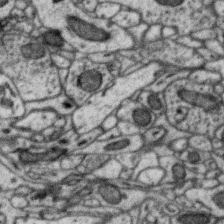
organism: Zebra finch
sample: Brain